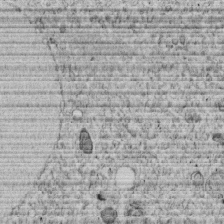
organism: C. elegans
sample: C. elegans embryo early stage